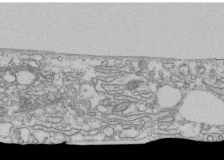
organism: Human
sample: Fibroblast cells